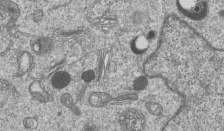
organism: Human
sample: MDA-MB-231 cells